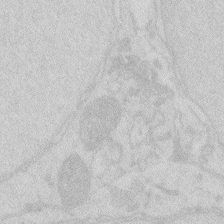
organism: Zebrafish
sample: Macrophage